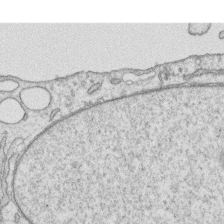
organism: Human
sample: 1205lu cells